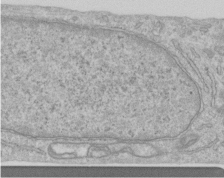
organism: Human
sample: Centriole in RPE cells